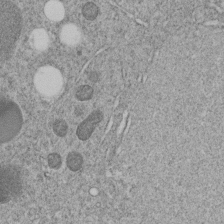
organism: C. elegans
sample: C. elegans embryo early stage